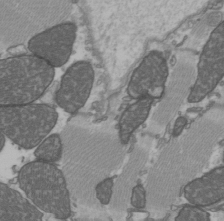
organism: C57BL Mouse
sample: Heart